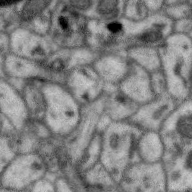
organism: Zebra finch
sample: Brain